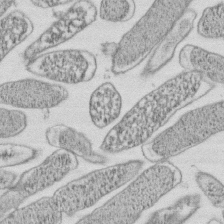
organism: E. coli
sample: Bacterial nucleoid